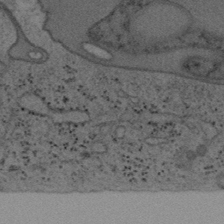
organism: Human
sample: HeLa cells